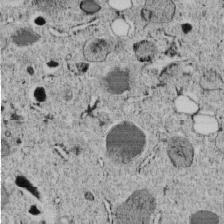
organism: C. elegans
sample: C. elegans embryo early stage